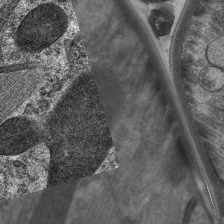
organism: C. elegans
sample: Pharynx